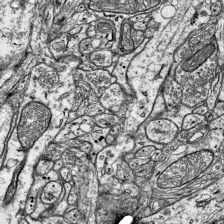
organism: Mouse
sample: Visual Cortex